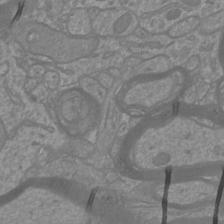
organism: Mouse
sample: Cortical neurons